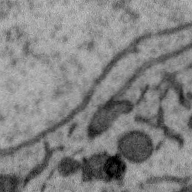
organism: Zebra finch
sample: Brain